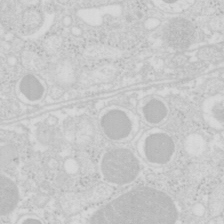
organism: Mouse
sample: Pancreas